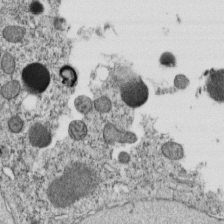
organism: C. elegans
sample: C. elegans embryo early stage